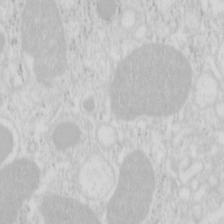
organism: Mouse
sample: Pancreas